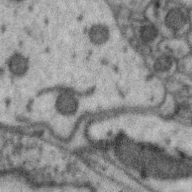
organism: Zebra finch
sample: Brain